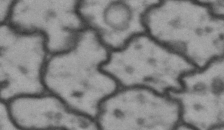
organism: Drosophila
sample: Brain